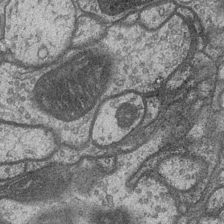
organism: Drosophila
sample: Optic medulla